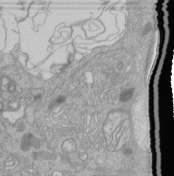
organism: Human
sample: Retinal organoid Rod and Cone cells